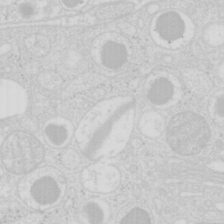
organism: Mouse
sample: Pancreas